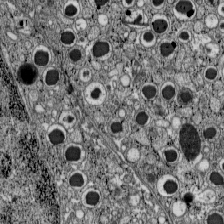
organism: C57BL Mouse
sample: Pancreatic islet